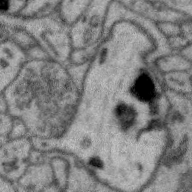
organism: Zebra finch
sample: Brain